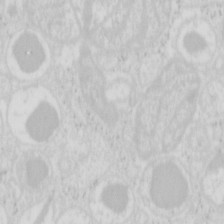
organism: Mouse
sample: Pancreas